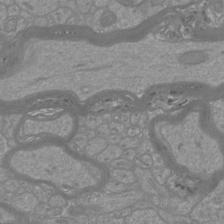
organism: Mouse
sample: Cortical neurons